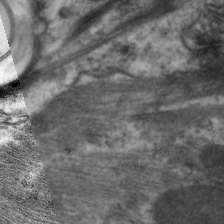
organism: C. elegans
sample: Pharynx